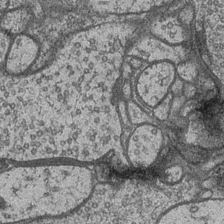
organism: Drosophila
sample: Optic medulla